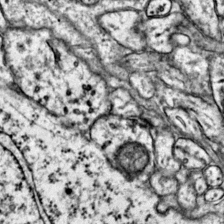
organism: Mouse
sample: Primary visual cortex